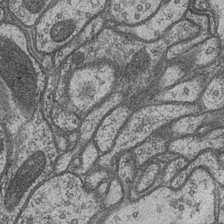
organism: Drosophila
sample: Optic medulla